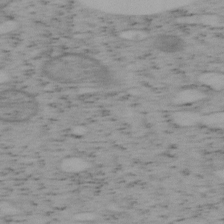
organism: Mouse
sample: OT-I killer T cells with ID8 ovarian cancer cells